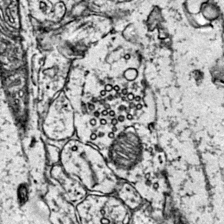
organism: Mouse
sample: Primary visual cortex